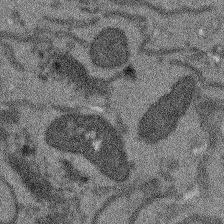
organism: Arabidopsis thaliana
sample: Root tip